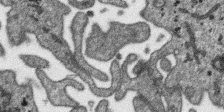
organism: Human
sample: Lung epithelial cells infected with SARS-CoV-2